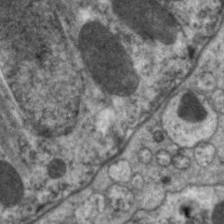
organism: C. elegans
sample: Pharynx